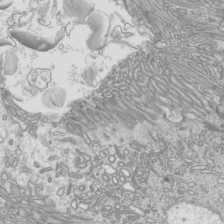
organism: Mouse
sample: Cilia; mouse epididymis